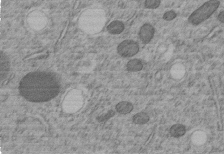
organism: C. elegans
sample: C. elegans embryo early stage